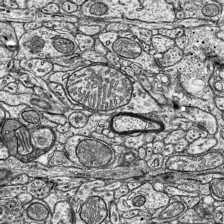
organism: Mouse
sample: Visual Cortex